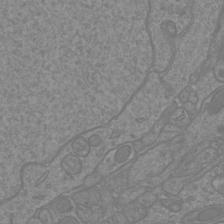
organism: Mouse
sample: Cortical neurons